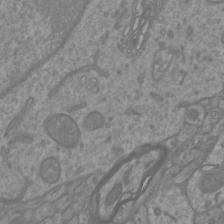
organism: Mouse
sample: Cortical neurons